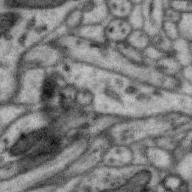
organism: Zebra finch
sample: Brain